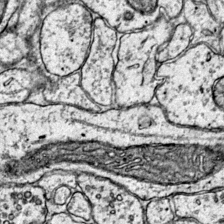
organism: Mouse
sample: Primary visual cortex